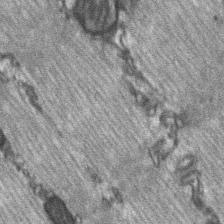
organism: C57BL Mouse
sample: Soleus